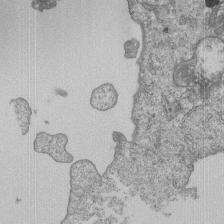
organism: Human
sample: MDA-MB-231 cells